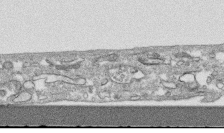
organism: Human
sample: CRL-1474